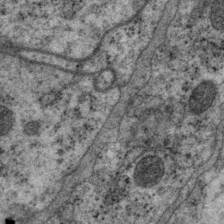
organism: P. pacificus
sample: Pharynx